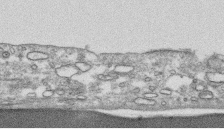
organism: Human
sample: CRL-1474